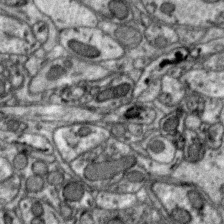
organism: Zebra finch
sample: Brain